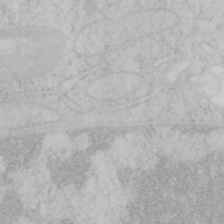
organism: Mouse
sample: OT-I killer T cells with ID8 ovarian cancer cells